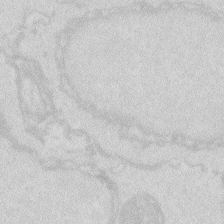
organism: Zebrafish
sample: Macrophage